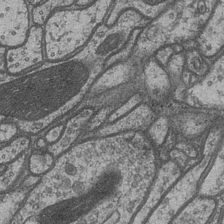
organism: Drosophila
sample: Optic medulla